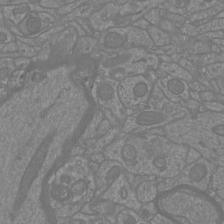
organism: Mouse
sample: Cortical neurons